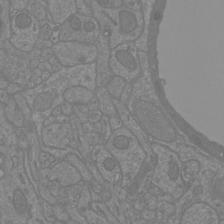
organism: Mouse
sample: Cortical neurons